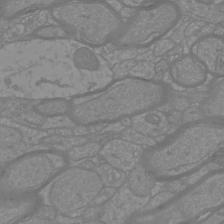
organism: Mouse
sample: Cortical neurons